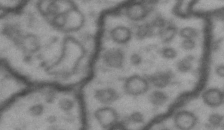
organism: Drosophila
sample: Brain